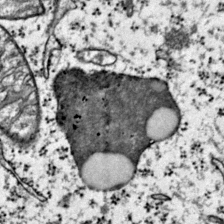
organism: Mouse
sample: Primary visual cortex